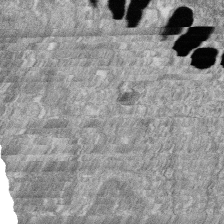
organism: Zebrafish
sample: Cilia; retinal pigment epithelium